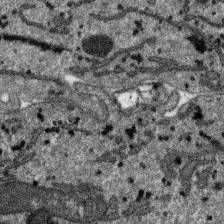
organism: Human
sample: Lung epithelial cells infected with SARS-CoV-2